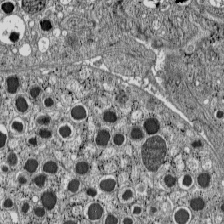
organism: C57BL Mouse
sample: Pancreatic islet